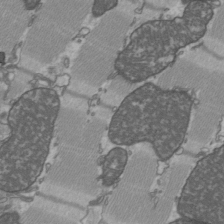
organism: C57BL Mouse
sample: Heart